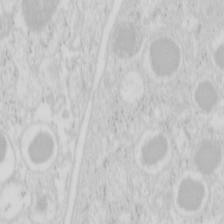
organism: Mouse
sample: Pancreas